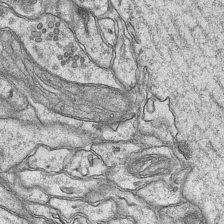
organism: Mouse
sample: CA1 Hippocampus